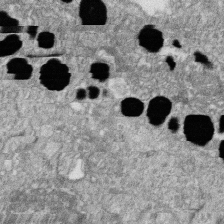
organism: Zebrafish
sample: Cilia; retinal pigment epithelium